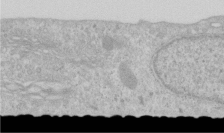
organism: Human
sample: Centriole in RPE cells